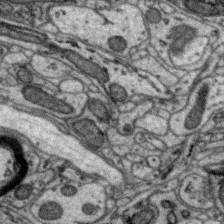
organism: Zebra finch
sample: Brain